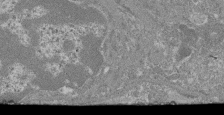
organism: Mouse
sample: Glomerulus